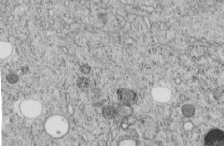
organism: C. elegans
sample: C. elegans embryo early stage